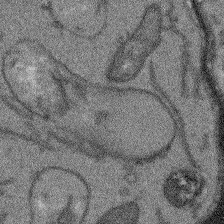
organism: Arabidopsis thaliana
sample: Root tip